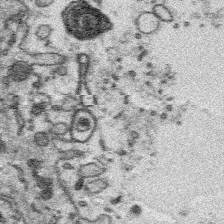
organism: Platynereis dumerilii